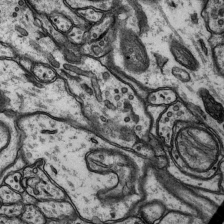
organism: Rat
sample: Hippocampus